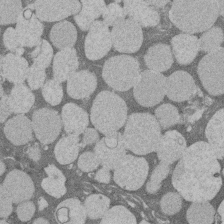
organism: Rat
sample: Salivary granule